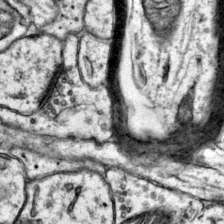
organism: Mouse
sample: Primary visual cortex